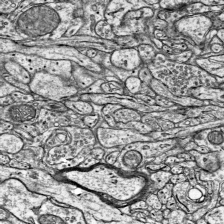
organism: Mouse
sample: Visual Cortex